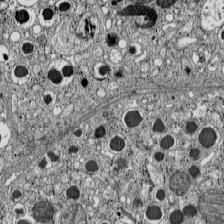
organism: C57BL Mouse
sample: Pancreatic islet